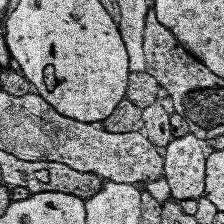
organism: Human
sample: Temporal Lobe